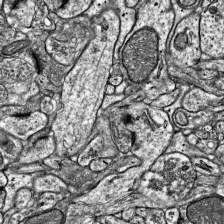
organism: Mouse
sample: Visual Cortex